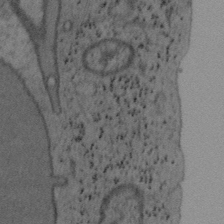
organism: Human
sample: HeLa cells